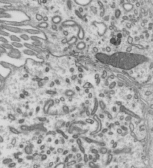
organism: Mouse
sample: Mouse epididymis efferent ductule cilia